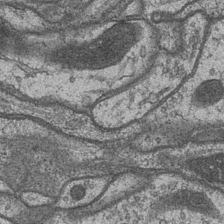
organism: Drosophila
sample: Optic medulla